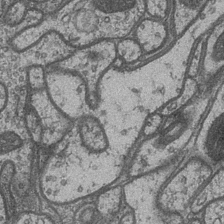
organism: Drosophila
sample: Optic medulla